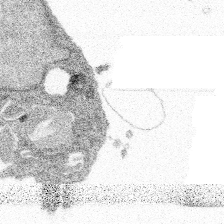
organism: Spongilla lacustris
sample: Multiple